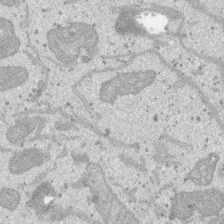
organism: Human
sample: Lung epithelial cells infected with SARS-CoV-2